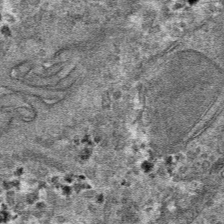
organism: Mouse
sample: Mouse hepatocytes